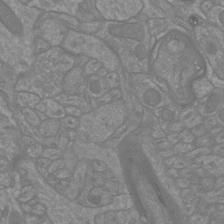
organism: Mouse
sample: Cortical neurons